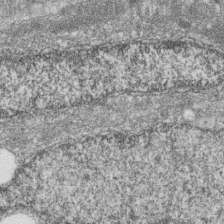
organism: Zebrafish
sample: Cilia; retinal pigment epithelium